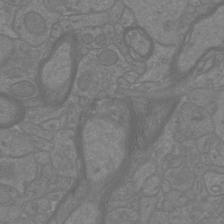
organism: Mouse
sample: Cortical neurons